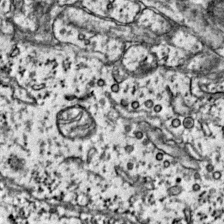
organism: Mouse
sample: Primary visual cortex